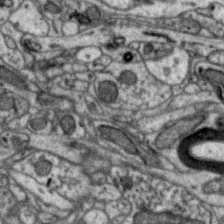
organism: Zebra finch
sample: Brain